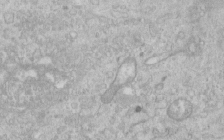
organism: Human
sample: Centriole in RPE cells